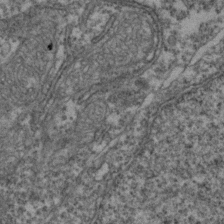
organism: Zebrafish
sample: Zebrafish embryo